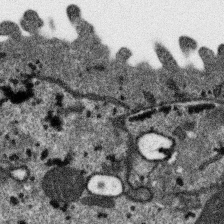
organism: Human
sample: Lung epithelial cells infected with SARS-CoV-2